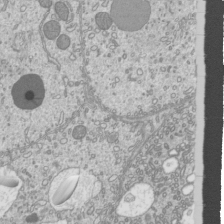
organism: Mouse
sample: Cilia; mouse epididymis